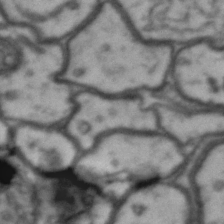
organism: Drosophila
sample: Brain